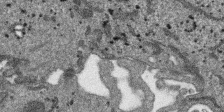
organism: Human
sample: Lung epithelial cells infected with SARS-CoV-2